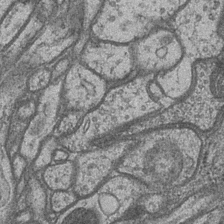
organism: Drosophila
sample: Optic medulla